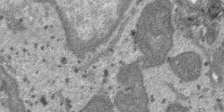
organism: Human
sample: Lung epithelial cells infected with SARS-CoV-2